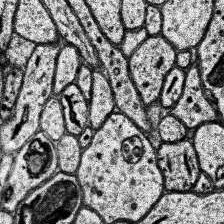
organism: Human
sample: Temporal Lobe